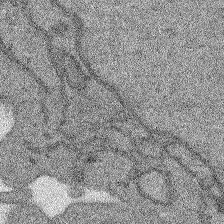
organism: Human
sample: HeLa cells